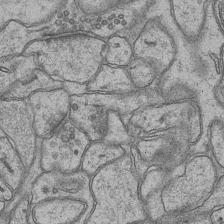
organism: Mouse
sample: CA1 Hippocampus